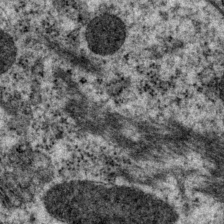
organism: P. pacificus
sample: Pharynx